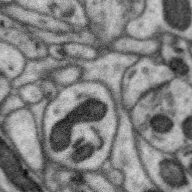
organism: Zebra finch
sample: Brain